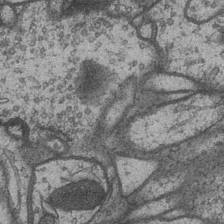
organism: Drosophila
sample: Optic medulla